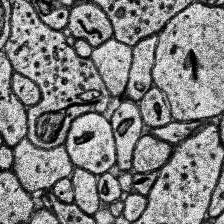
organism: Human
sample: Temporal Lobe